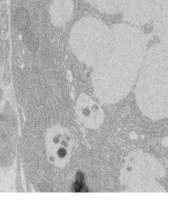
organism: Rat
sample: Salivary granule